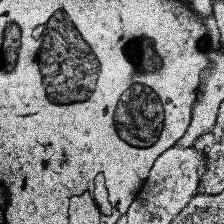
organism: Human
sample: Temporal Lobe